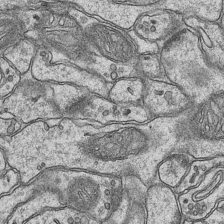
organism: Mouse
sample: CA1 Hippocampus